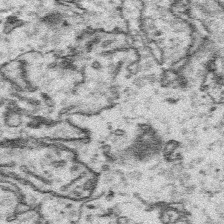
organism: Platynereis dumerilii